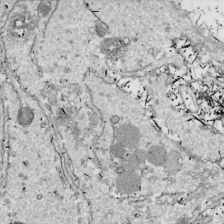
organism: Drosophila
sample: Cell division; meiosis; drosophila spermatocytes